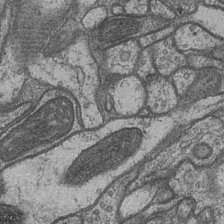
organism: Drosophila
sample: Optic medulla